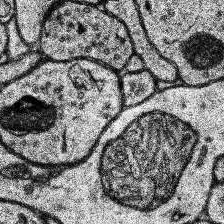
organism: Human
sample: Temporal Lobe